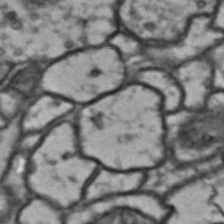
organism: Drosophila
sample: Brain